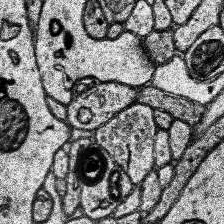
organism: Human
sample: Temporal Lobe